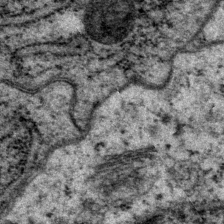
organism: P. pacificus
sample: Pharynx